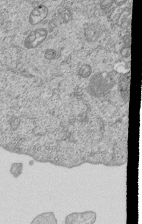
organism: Human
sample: MDA-MB-231 cells